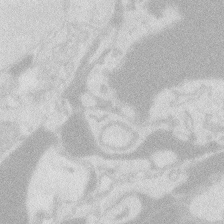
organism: Zebrafish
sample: Macrophage